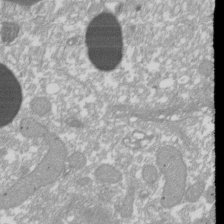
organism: Xenopus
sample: Cilia; centrioles in frog embryo cells